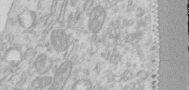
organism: Human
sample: Centriole in RPE cells